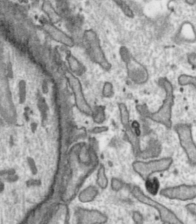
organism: Toxoplasma gondii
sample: Parasites in a vacuole inside a host cell